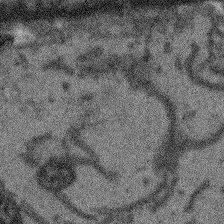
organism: Arabidopsis thaliana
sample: Root tip